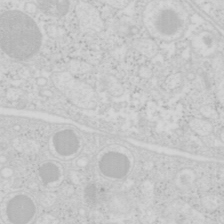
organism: Mouse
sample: Pancreas